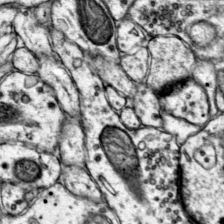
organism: Mouse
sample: Primary visual cortex